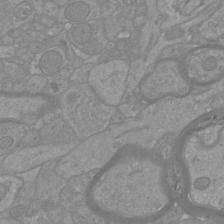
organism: Mouse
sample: Cortical neurons